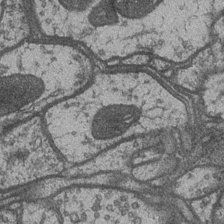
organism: Drosophila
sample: Optic medulla